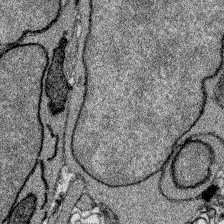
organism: Zebrafish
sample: Larval olfactory bulb